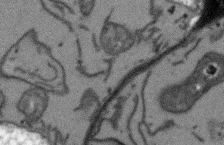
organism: Arabidopsis thaliana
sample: Root tip